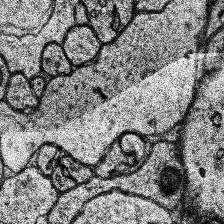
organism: Human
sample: Temporal Lobe